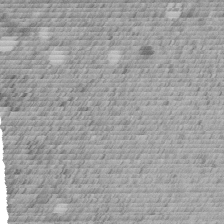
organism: C. elegans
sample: C. elegans embryo early stage